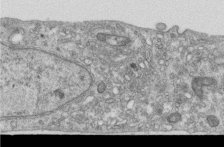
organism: Human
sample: Centriole in RPE cells